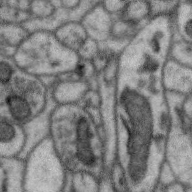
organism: Zebra finch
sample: Brain